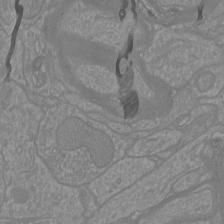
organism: Mouse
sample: Cortical neurons